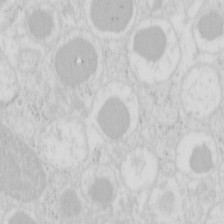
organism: Mouse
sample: Pancreas